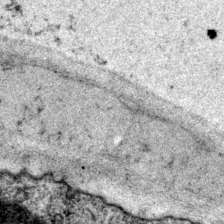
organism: P. pacificus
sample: Pharynx